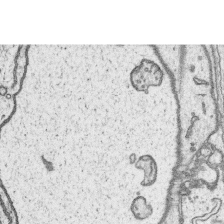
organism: Platynereis dumerilii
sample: Parapodia